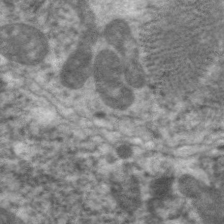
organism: C. elegans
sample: Pharynx